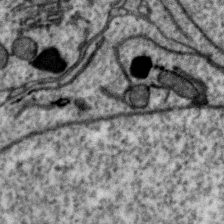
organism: Zebra finch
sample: Brain